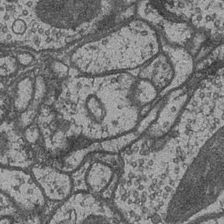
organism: Drosophila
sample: Optic medulla